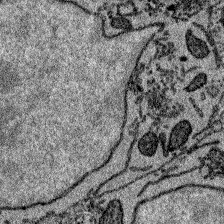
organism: Zebrafish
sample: Larval olfactory bulb